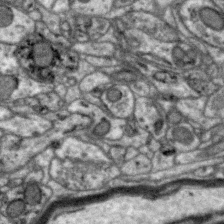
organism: Zebra finch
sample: Brain